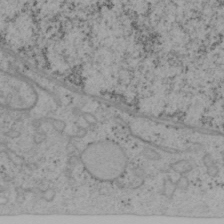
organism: Human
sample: HeLa cells